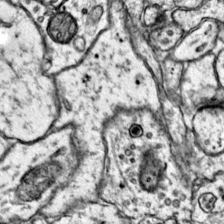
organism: Mouse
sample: Primary visual cortex